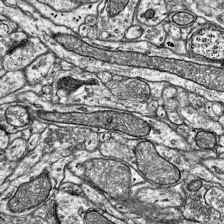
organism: Mouse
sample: Visual Cortex